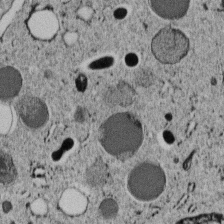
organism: C. elegans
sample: C. elegans embryo early stage